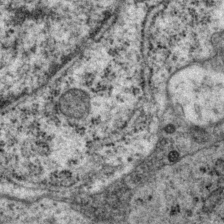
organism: P. pacificus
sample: Pharynx